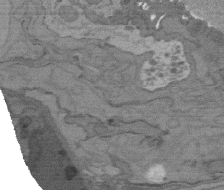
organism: C. elegans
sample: AFD neurons C. elegans